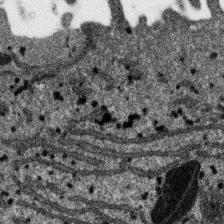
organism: Human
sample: Lung epithelial cells infected with SARS-CoV-2